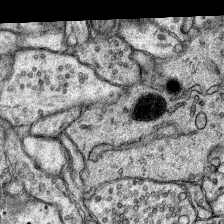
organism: Rat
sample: Hippocampus